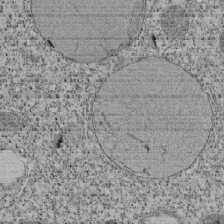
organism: Tetrahymena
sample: Cilia in tetrahymena